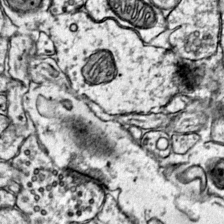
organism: Mouse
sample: Primary visual cortex